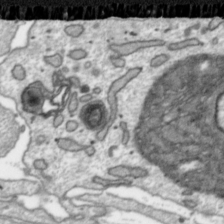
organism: Toxoplasma gondii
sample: Parasites in a vacuole inside a host cell